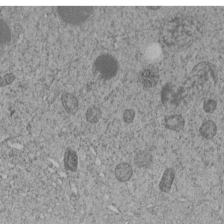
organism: C. elegans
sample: C. elegans embryo early stage